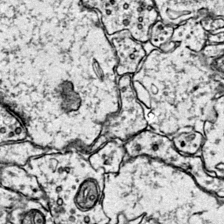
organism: Mouse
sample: Primary visual cortex